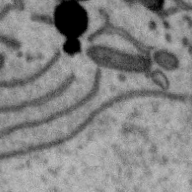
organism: Zebra finch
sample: Brain